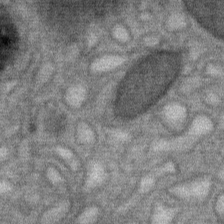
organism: Mouse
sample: Mouse Salivary gland